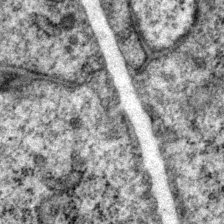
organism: P. pacificus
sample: Pharynx